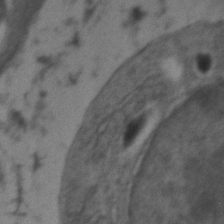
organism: Zebrafish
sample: Zebrafish embryo